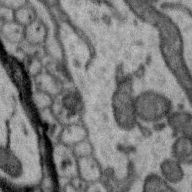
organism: Zebra finch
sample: Brain